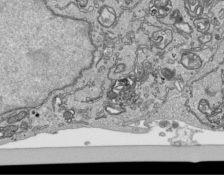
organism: Human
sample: Mitochondria in HCT116 cells